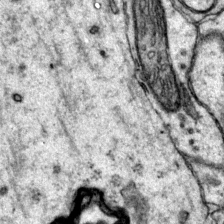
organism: Mouse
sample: Primary visual cortex